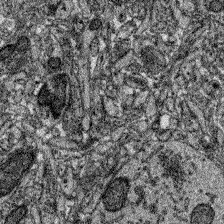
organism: Zebrafish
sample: Larval olfactory bulb